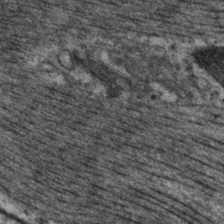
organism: P. pacificus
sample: Pharynx